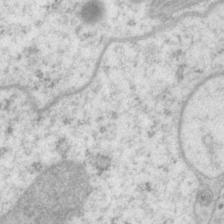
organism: P. pacificus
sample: Pharynx